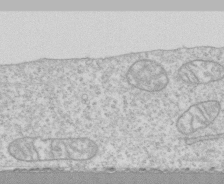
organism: Human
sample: CRL-1474